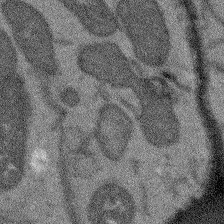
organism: Arabidopsis thaliana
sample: Root tip